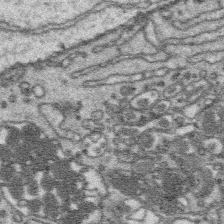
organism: Platynereis dumerilii